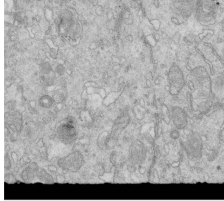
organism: Mouse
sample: Multiciliated cells